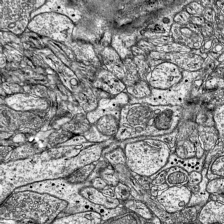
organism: Mouse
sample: Visual Cortex